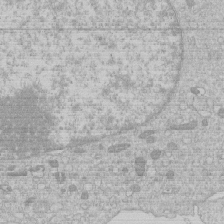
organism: Human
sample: Macrophage cells